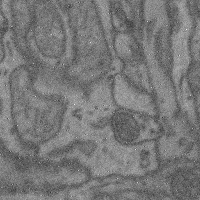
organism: Mouse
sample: Cerebral cortex